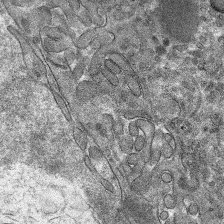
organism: Mouse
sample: Mouse hepatocytes